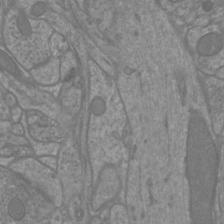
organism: Mouse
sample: Cortical neurons